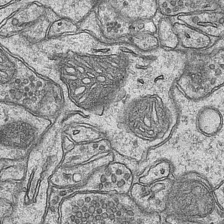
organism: Mouse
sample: CA1 Hippocampus